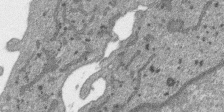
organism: Human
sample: Lung epithelial cells infected with SARS-CoV-2